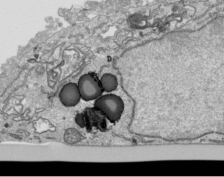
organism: Human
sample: Mitochondria in HCT116 cells